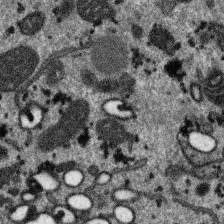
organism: Human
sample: Lung epithelial cells infected with SARS-CoV-2